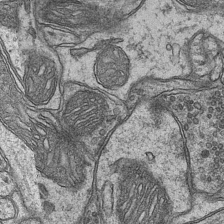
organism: Mouse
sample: CA1 Hippocampus